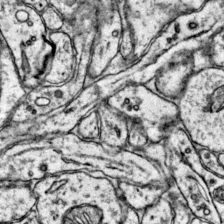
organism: Mouse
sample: Primary visual cortex